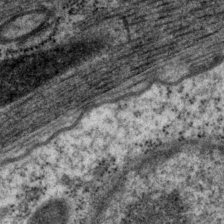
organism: P. pacificus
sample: Pharynx